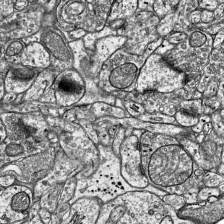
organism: Mouse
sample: Visual Cortex